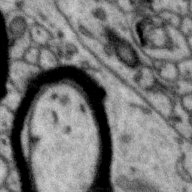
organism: Zebra finch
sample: Brain